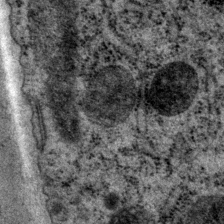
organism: P. pacificus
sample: Pharynx